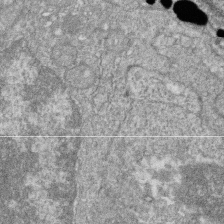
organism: Zebrafish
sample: Cilia; retinal pigment epithelium